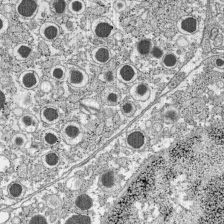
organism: C57BL Mouse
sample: Pancreatic islet